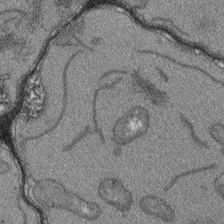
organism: Arabidopsis thaliana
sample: Root tip